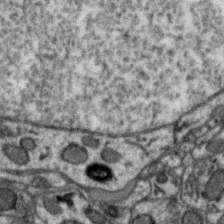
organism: Zebra finch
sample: Brain